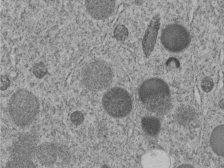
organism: C. elegans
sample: C. elegans embryo early stage